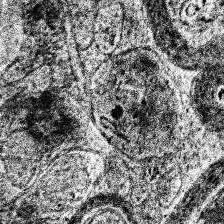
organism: Human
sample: Temporal Lobe